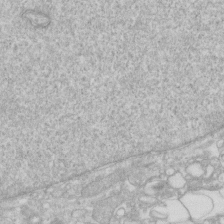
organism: Human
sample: Fibroblast cells